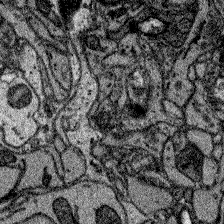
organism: Zebrafish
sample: Larval olfactory bulb